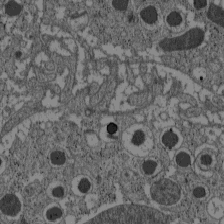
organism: C57BL Mouse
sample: Pancreatic islet